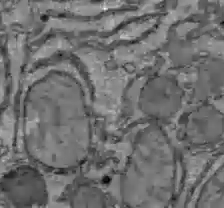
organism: C57BL Mouse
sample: Liver